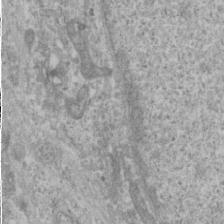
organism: Human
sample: Cilia; basal body in RPE cells